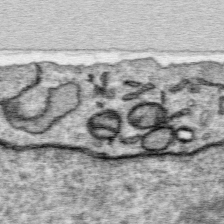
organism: Human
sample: HeLa cells